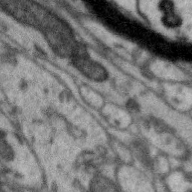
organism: Zebra finch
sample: Brain